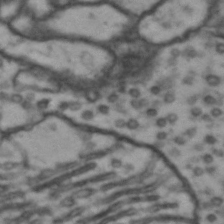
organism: Drosophila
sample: Brain